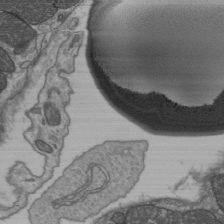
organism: C57BL Mouse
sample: Heart